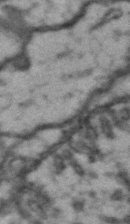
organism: Drosophila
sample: Brain